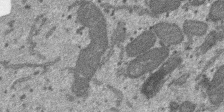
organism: Human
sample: Lung epithelial cells infected with SARS-CoV-2